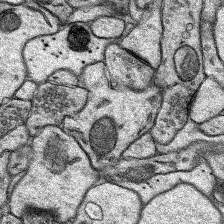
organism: Rat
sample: Hippocampus